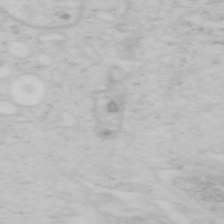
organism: Mouse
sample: OT-I killer T cells with ID8 ovarian cancer cells